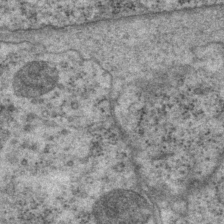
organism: P. pacificus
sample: Pharynx